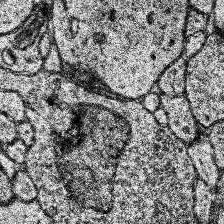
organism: Human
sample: Temporal Lobe